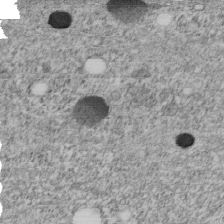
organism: C. elegans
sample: C. elegans embryo early stage